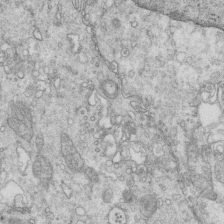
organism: Mouse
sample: Multiciliated cells